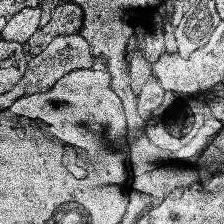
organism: Human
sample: Temporal Lobe